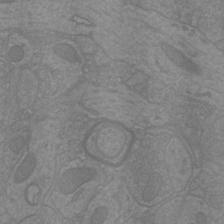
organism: Mouse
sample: Cortical neurons